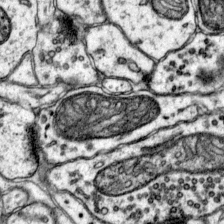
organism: Mouse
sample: Primary visual cortex